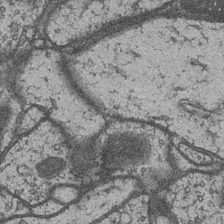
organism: Drosophila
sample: Optic medulla